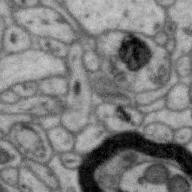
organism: Zebra finch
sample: Brain